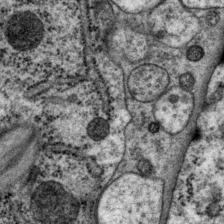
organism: P. pacificus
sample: Pharynx